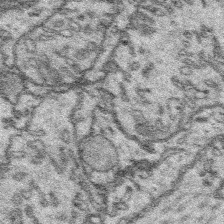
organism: Platynereis dumerilii